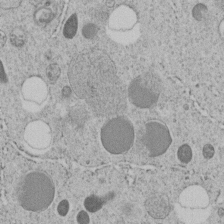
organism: C. elegans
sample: C. elegans embryo early stage